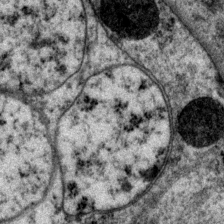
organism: P. pacificus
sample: Pharynx